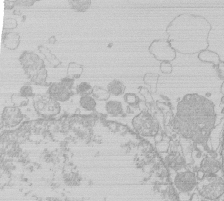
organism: Human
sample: Macrophage cells